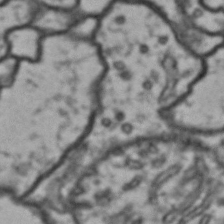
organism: Drosophila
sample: Brain